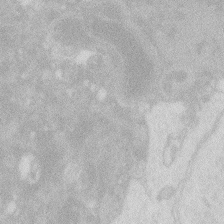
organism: Zebrafish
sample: Macrophage